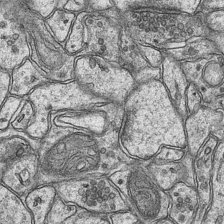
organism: Mouse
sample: CA1 Hippocampus